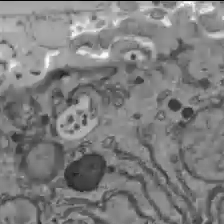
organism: C57BL Mouse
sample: Liver